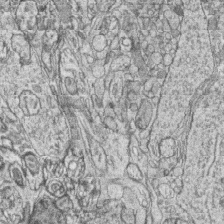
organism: Zebrafish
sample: synaptic ribbons in rod cells and cone cells